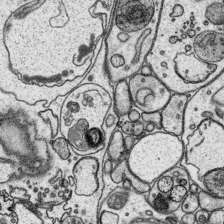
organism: Platynereis dumerilii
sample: Parapodia